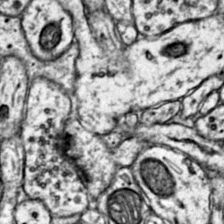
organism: Mouse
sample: Primary visual cortex